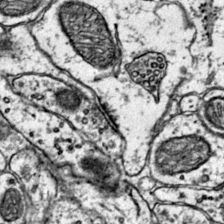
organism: Mouse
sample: Primary visual cortex